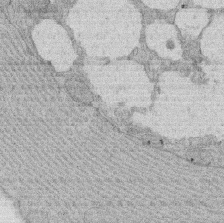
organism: Rat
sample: Salivary granule